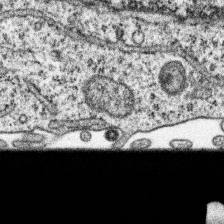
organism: Human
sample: HeLa cells